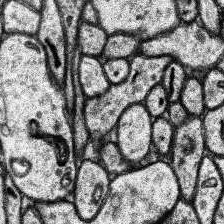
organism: Human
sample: Temporal Lobe